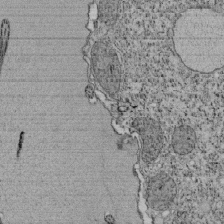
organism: Tetrahymena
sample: Cilia in tetrahymena